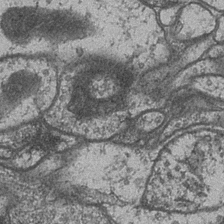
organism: Drosophila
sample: Optic medulla